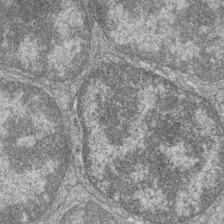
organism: Zebrafish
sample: Cilia; retinal pigment epithelium